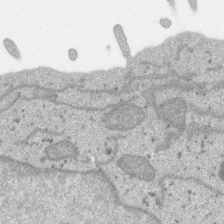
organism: Human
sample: Lung epithelial cells infected with SARS-CoV-2